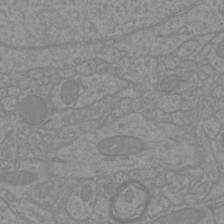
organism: Mouse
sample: Cortical neurons